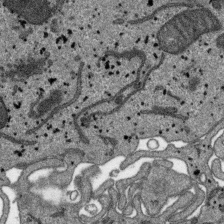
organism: Human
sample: Lung epithelial cells, uninfected (mock) control